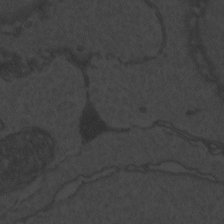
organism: Zebrafish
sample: Macrophage infected with Toxoplasma gondii